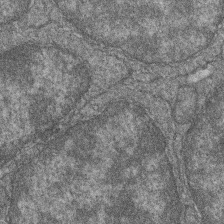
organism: Zebrafish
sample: Cilia; retinal pigment epithelium